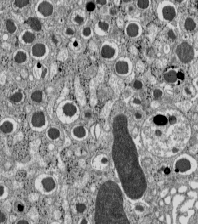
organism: C57BL Mouse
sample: Pancreatic islet